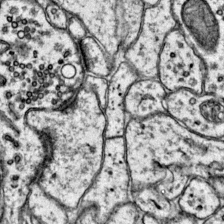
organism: Mouse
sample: Primary visual cortex